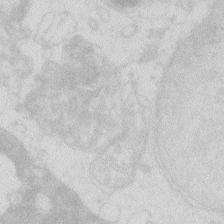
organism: Zebrafish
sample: Macrophage